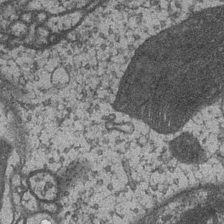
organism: Drosophila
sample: Optic medulla